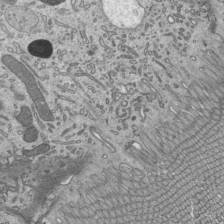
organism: Mouse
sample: Mouse epididymis efferent ductule cilia